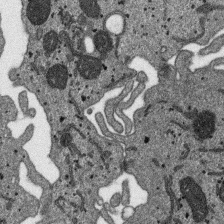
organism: Human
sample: Lung epithelial cells infected with SARS-CoV-2